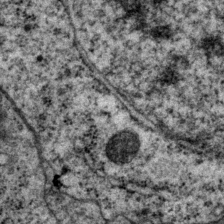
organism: P. pacificus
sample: Pharynx